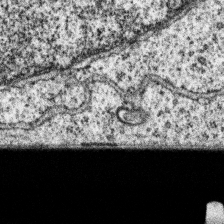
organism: Human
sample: HeLa cells